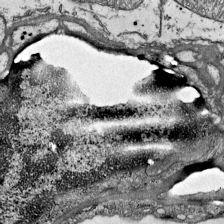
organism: Mouse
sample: Visual Cortex